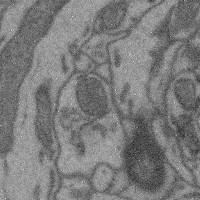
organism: Mouse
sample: Cerebral cortex